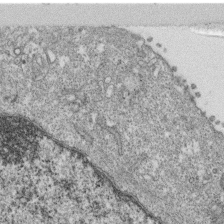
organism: African green monkey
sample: Vero E6 cells infected with SARS-CoV-2